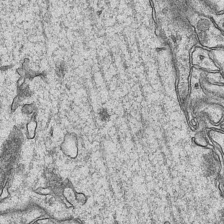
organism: Mouse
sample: CA1 Hippocampus